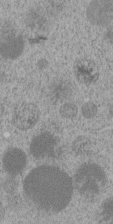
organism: C. elegans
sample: C. elegans embryo early stage